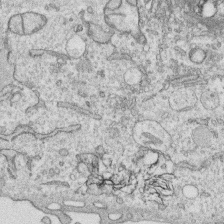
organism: Human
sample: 1205lu cells